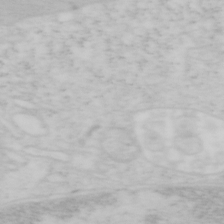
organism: Mouse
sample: OT-I killer T cells with ID8 ovarian cancer cells